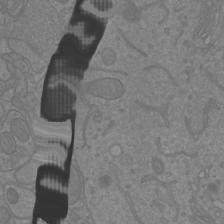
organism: Mouse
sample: Cortical neurons